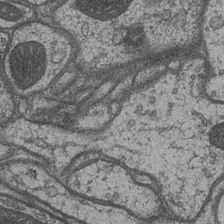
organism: Drosophila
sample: Optic medulla